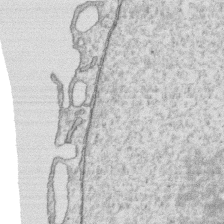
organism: Human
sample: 1205lu cells